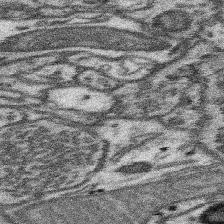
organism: Mouse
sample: Somatosensory cortex neuropil